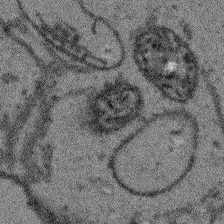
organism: Arabidopsis thaliana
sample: Root tip